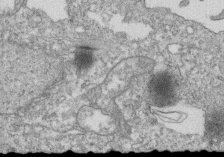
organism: Human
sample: HeLa cell HIV synapse